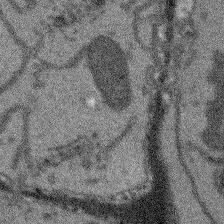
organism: Arabidopsis thaliana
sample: Root tip